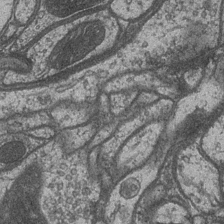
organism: Drosophila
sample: Optic medulla